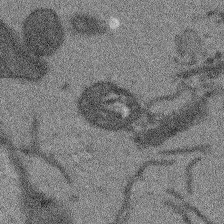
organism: Arabidopsis thaliana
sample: Root tip